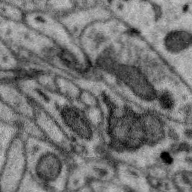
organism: Zebra finch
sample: Brain